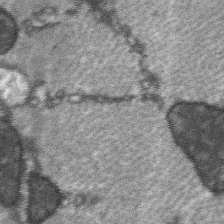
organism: C57BL Mouse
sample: Soleus